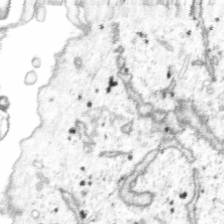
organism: Human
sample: HeLa cells